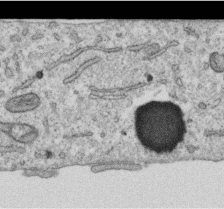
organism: Human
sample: Centriole in RPE cells